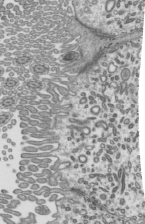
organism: Mouse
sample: Mouse epididymis efferent ductule cilia